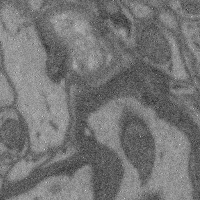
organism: Mouse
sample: Cerebral cortex